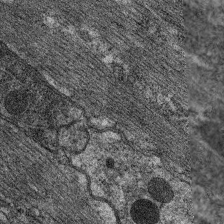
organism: C. elegans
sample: Pharynx